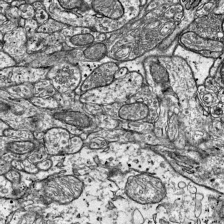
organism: Mouse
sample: Visual Cortex